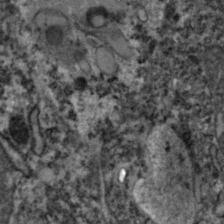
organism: Zebrafish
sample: Zebrafish embryo